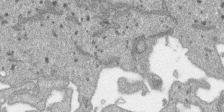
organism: Human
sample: Lung epithelial cells infected with SARS-CoV-2